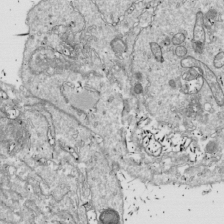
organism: Drosophila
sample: Cell division; meiosis; drosophila spermatocytes